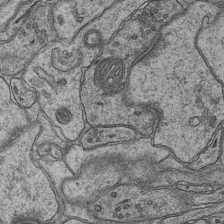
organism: Mouse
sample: CA1 Hippocampus